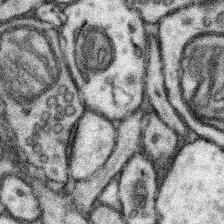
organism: Mouse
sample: Somatosensory cortex neuropil